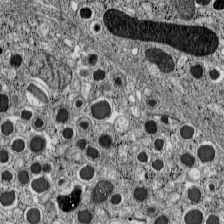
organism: C57BL Mouse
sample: Pancreatic islet